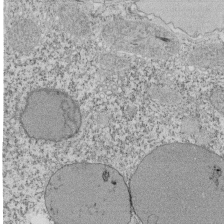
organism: Tetrahymena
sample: Cilia in tetrahymena